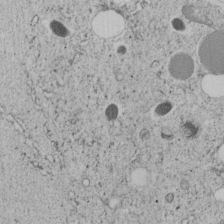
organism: C. elegans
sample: C. elegans embryo early stage